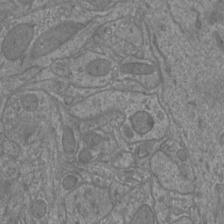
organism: Mouse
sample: Cortical neurons